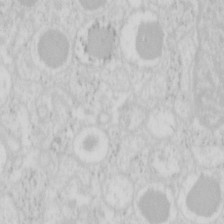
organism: Mouse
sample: Pancreas